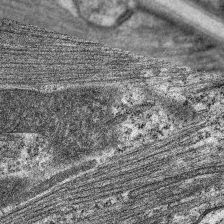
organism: C. elegans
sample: Pharynx